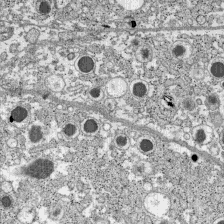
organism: C57BL Mouse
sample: Pancreatic islet